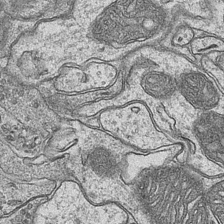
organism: Mouse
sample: CA1 Hippocampus